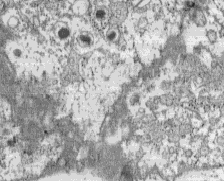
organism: C57BL Mouse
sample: Pancreatic islet